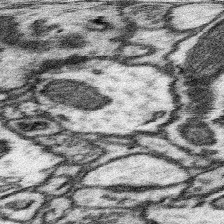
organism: Mouse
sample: Somatosensory cortex neuropil